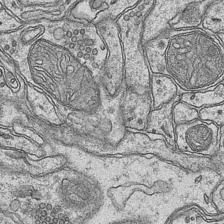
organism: Mouse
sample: CA1 Hippocampus